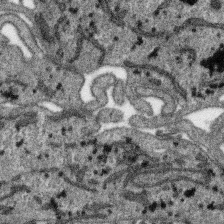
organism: Human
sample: Lung epithelial cells infected with SARS-CoV-2